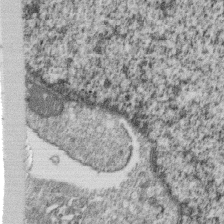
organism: African green monkey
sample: Vero E6 cells infected with SARS-CoV-2